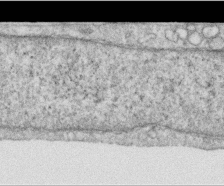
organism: Human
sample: Centriole in RPE cells